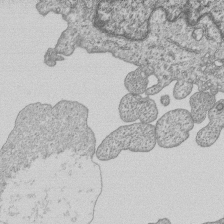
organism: Human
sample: MDA-MB-231 cells